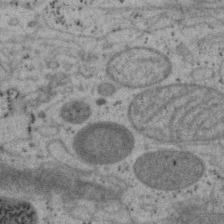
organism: Human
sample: HeLa cells